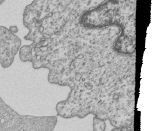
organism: Human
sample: MDA-MB-231 cells